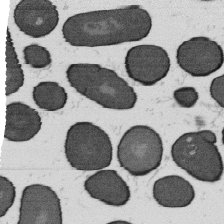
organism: B. subtilis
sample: Bacterial spore